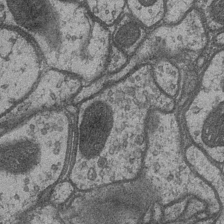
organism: Drosophila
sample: Optic medulla